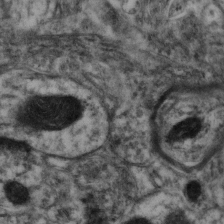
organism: Mouse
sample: Neocortex